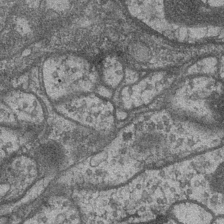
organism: Drosophila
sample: Optic medulla